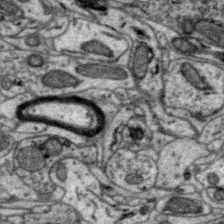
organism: Zebra finch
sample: Brain